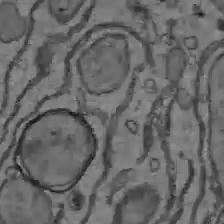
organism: C57BL Mouse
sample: Liver